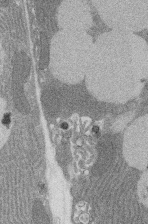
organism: Rat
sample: Salivary granule